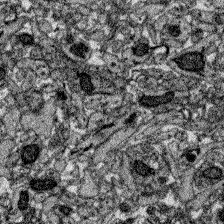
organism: Zebrafish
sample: Larval olfactory bulb